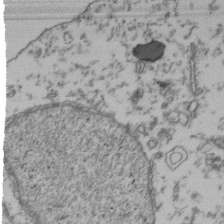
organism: Human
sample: Activated Jurkat CD4+ T cells